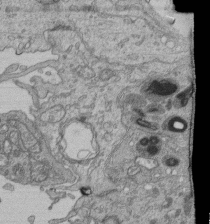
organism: Human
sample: Retinal organoid Rod and Cone cells